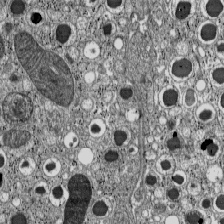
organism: C57BL Mouse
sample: Pancreatic islet